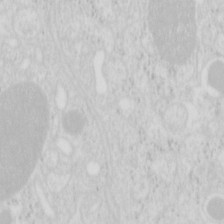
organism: Mouse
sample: Pancreas